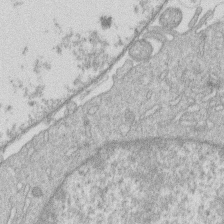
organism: Human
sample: Macrophage cells